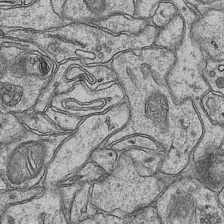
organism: Mouse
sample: CA1 Hippocampus